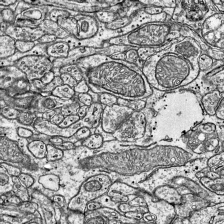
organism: Mouse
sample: Visual Cortex